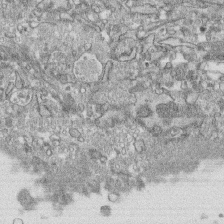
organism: Human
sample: CRL-1474